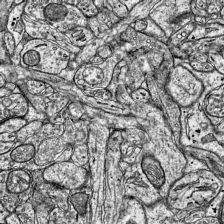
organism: Mouse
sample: Visual Cortex